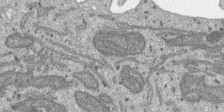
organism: Human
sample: Lung epithelial cells infected with SARS-CoV-2